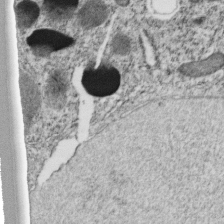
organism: C. elegans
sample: C. elegans embryo early stage